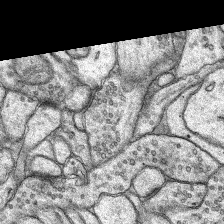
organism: Rat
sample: Hippocampus